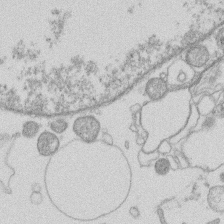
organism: Human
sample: Macrophage cells